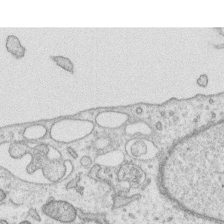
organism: Human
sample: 1205lu cells